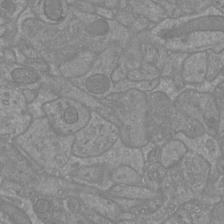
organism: Mouse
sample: Cortical neurons